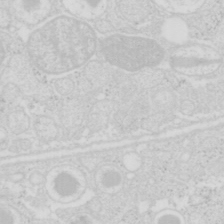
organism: Mouse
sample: Pancreas